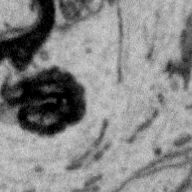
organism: Zebra finch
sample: Brain